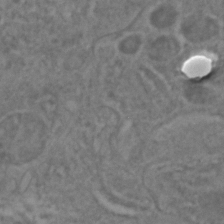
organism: C. elegans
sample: C. elegans embryo